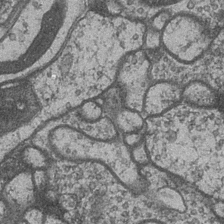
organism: Drosophila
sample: Optic medulla